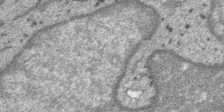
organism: Human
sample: Lung epithelial cells infected with SARS-CoV-2